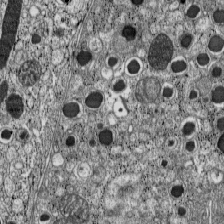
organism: C57BL Mouse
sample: Pancreatic islet